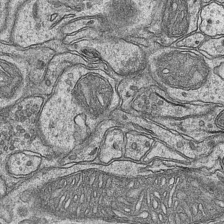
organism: Mouse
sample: CA1 Hippocampus